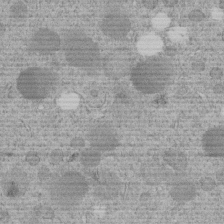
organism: C. elegans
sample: C. elegans embryo early stage